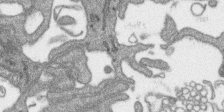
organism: Human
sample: Lung epithelial cells infected with SARS-CoV-2